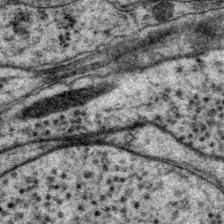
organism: P. pacificus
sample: Pharynx